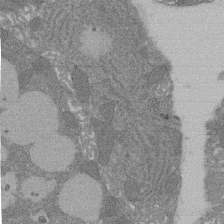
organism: Rat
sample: Salivary granule